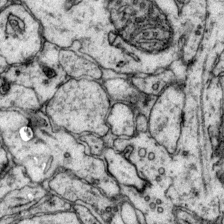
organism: Mouse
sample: Primary visual cortex